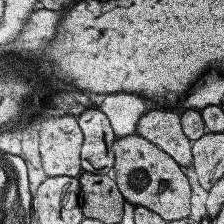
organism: Human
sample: Temporal Lobe